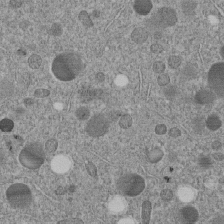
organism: C. elegans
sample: C. elegans embryo early stage